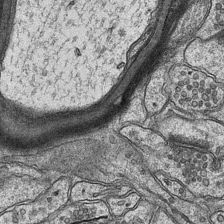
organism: Mouse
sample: CA1 Hippocampus